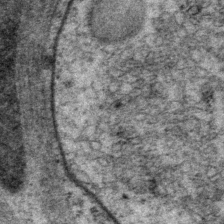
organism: P. pacificus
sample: Pharynx